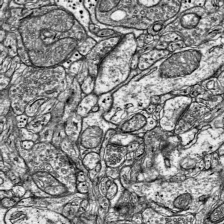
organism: Mouse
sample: Visual Cortex